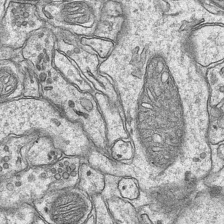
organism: Mouse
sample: CA1 Hippocampus